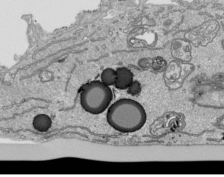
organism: Human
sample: Mitochondria in HCT116 cells